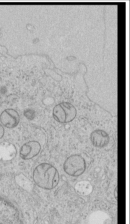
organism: Human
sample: Mitochondria in HCT116 cells